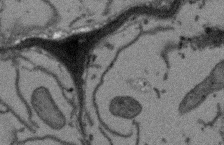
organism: Arabidopsis thaliana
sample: Root tip